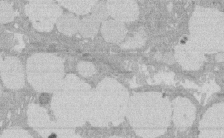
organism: Rat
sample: Salivary granule